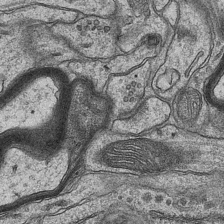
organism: Mouse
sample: CA1 Hippocampus